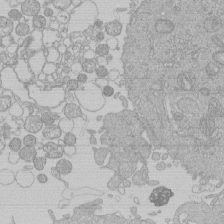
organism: Human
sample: Macrophage cells